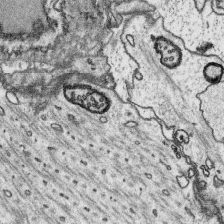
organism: Platynereis dumerilii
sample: Parapodia